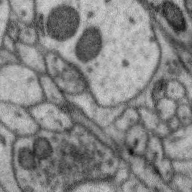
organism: Zebra finch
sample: Brain